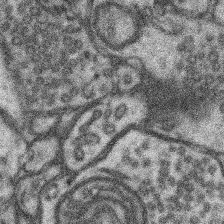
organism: Mouse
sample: Somatosensory cortex neuropil